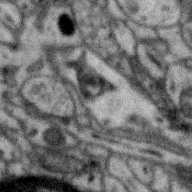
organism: Zebra finch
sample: Brain